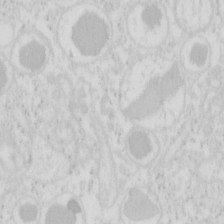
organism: Mouse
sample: Pancreas